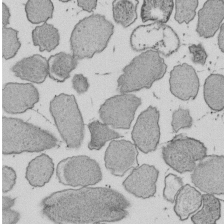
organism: E. coli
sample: Bacterial nucleoid